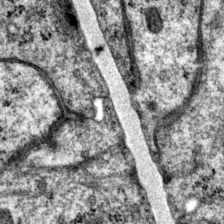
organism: P. pacificus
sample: Pharynx